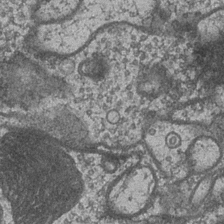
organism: Drosophila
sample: Optic medulla